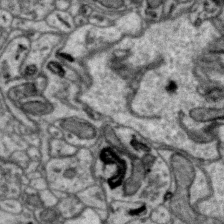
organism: Zebra finch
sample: Brain